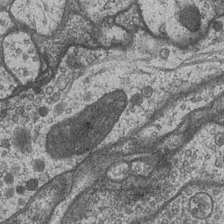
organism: Drosophila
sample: Optic medulla